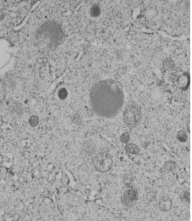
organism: C. elegans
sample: C. elegans embryo early stage